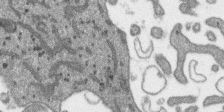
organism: Human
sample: Lung epithelial cells infected with SARS-CoV-2